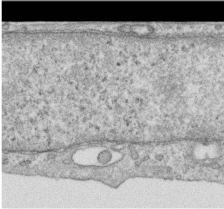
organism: Human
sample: Centriole in RPE cells